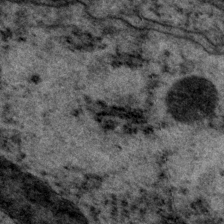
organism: P. pacificus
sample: Pharynx